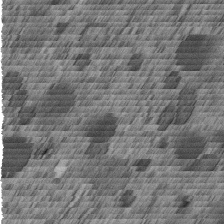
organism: C. elegans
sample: C. elegans embryo early stage